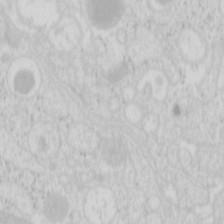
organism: Mouse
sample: Pancreas